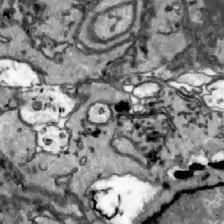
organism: Zebrafish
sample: Actinotrichia fibers